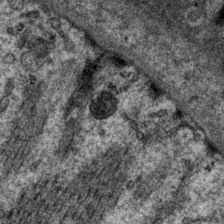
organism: P. pacificus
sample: Pharynx